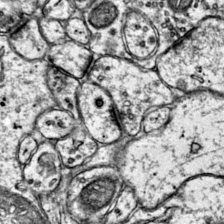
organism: Mouse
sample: Primary visual cortex